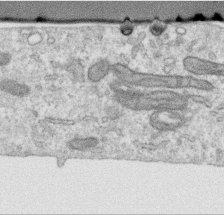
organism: Human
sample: Centriole in RPE cells